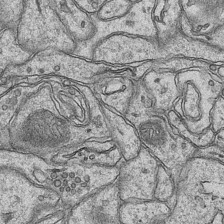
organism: Mouse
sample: CA1 Hippocampus